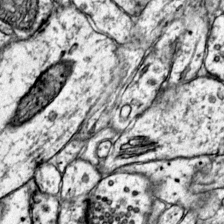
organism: Mouse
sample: Primary visual cortex